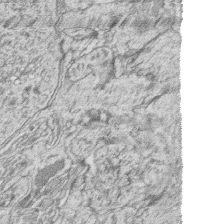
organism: Zebrafish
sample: synaptic ribbons in rod cells and cone cells